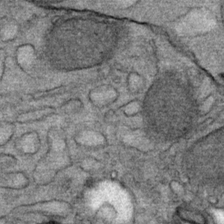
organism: Mouse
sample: Mouse Salivary gland